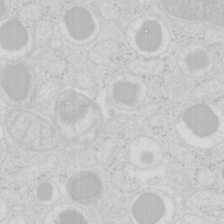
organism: Mouse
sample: Pancreas